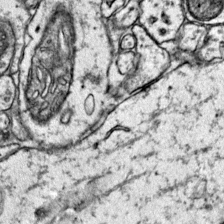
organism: Mouse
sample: Primary visual cortex